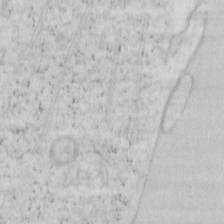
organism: Human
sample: HeLa cells